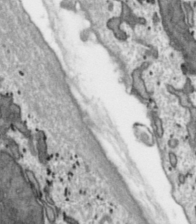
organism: Toxoplasma gondii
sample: Parasites in a vacuole inside a host cell